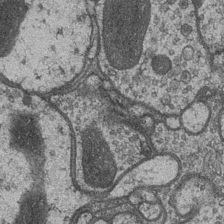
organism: Drosophila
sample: Optic medulla